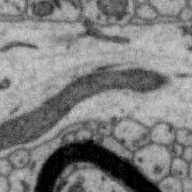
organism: Zebra finch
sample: Brain